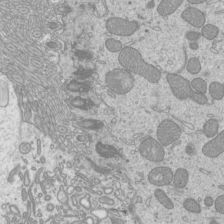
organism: Mouse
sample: Cilia; mouse epididymis